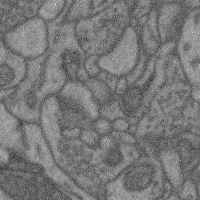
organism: Mouse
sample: Cerebral cortex